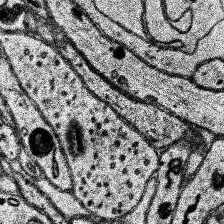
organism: Human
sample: Temporal Lobe